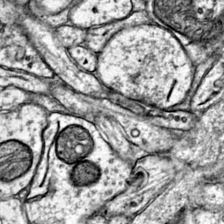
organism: Mouse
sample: Primary visual cortex